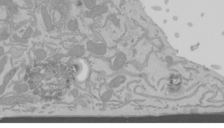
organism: Mouse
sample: Cancer cell death in ED-1 cells